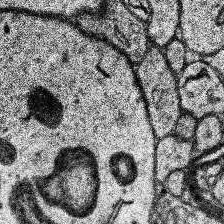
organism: Human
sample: Temporal Lobe